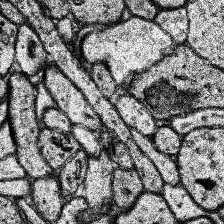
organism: Human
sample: Temporal Lobe